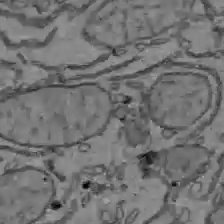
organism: C57BL Mouse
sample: Liver